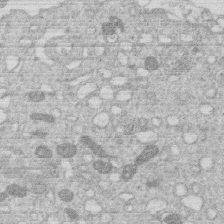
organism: Human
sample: Macrophage cells